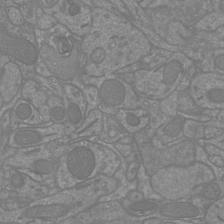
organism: Mouse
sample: Cortical neurons